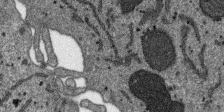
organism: Human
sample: Lung epithelial cells infected with SARS-CoV-2